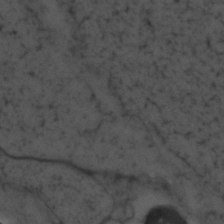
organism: Zebrafish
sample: Zebrafish embryo